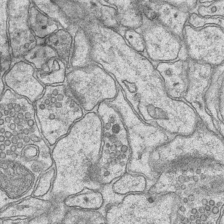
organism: Mouse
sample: CA1 Hippocampus